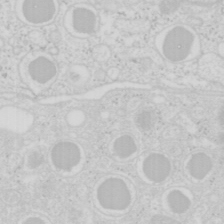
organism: Mouse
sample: Pancreas